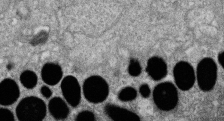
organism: Zebrafish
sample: Cilia; retinal pigment epithelium